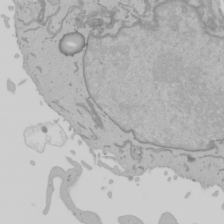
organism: Mouse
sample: Cancer cell death in ED-1 cells